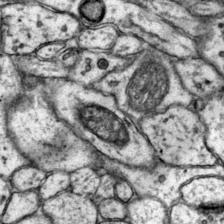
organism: Mouse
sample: Primary visual cortex